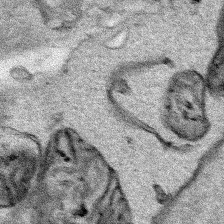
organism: Human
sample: Mitochondria in HCT116 cells